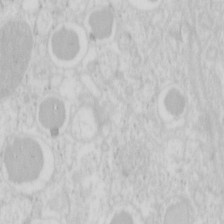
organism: Mouse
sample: Pancreas